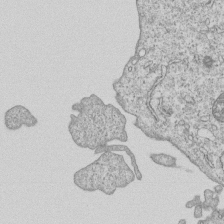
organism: Human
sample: MDA-MB-231 cells